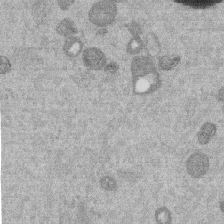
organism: Mouse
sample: Dividing mouse embryo 1 cell stage